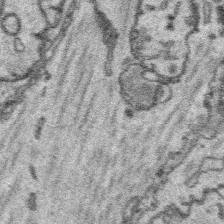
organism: Platynereis dumerilii